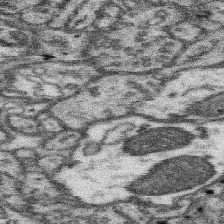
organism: Mouse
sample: Somatosensory cortex neuropil